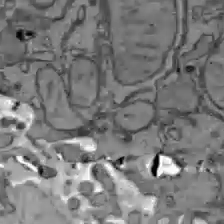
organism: C57BL Mouse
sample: Liver